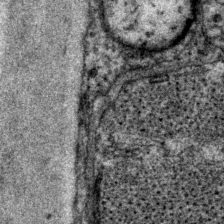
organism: P. pacificus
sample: Pharynx